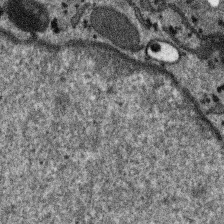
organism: Human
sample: Lung epithelial cells infected with SARS-CoV-2